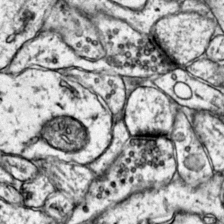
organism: Mouse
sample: Primary visual cortex